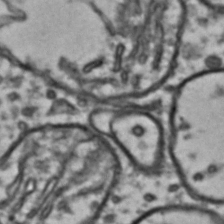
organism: Drosophila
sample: Brain